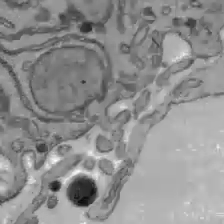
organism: C57BL Mouse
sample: Liver